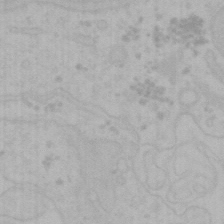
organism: Mouse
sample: Choroid plexus